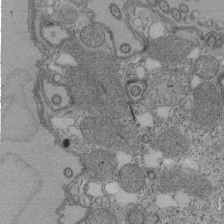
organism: Tetrahymena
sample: Cilia in tetrahymena